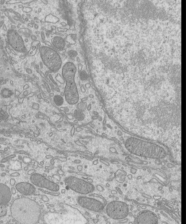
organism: Mouse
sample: Cilia; mouse epididymis